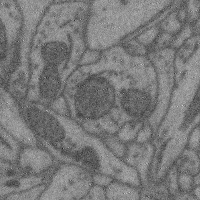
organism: Mouse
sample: Cerebral cortex